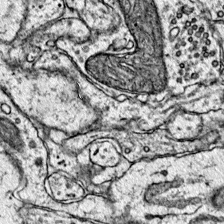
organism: Mouse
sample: Primary visual cortex